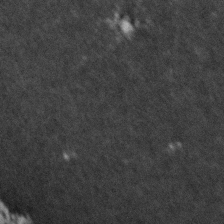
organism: Zebrafish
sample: Zebrafish embryo